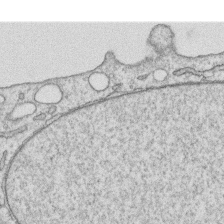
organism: Human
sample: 1205lu cells